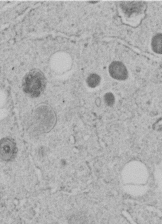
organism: C. elegans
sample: C. elegans embryo early stage